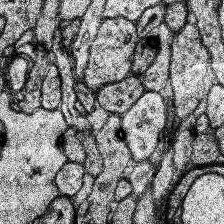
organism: Human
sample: Temporal Lobe